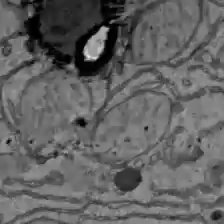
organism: C57BL Mouse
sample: Liver